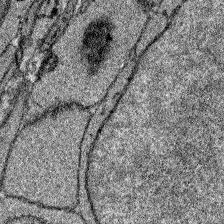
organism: Zebrafish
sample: Larval olfactory bulb